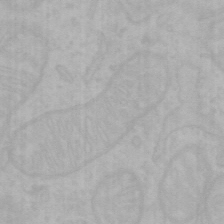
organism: Mouse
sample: Choroid plexus